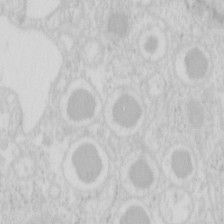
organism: Mouse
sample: Pancreas